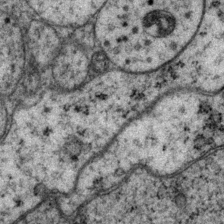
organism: P. pacificus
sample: Pharynx